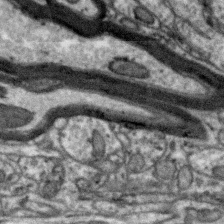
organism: Zebra finch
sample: Brain